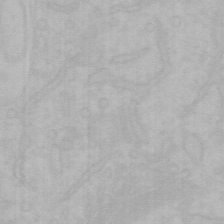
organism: Mouse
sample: Choroid plexus